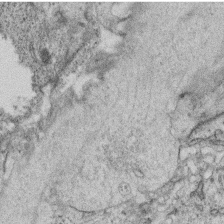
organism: C. elegans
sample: C. elegans oocyte; sperm cells